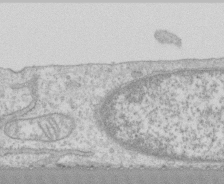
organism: Human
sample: CRL-1474